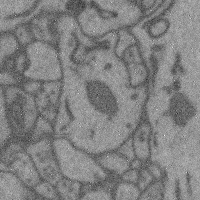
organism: Mouse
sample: Cerebral cortex